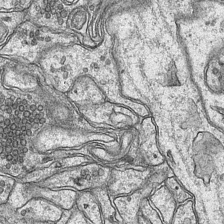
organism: Mouse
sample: CA1 Hippocampus